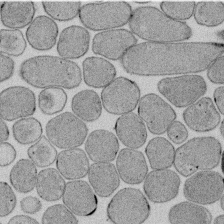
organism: E. coli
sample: Bacterial nucleoid